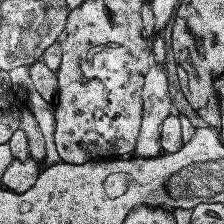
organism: Human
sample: Temporal Lobe